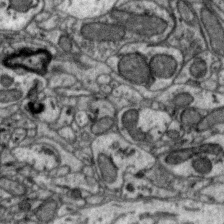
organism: Zebra finch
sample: Brain